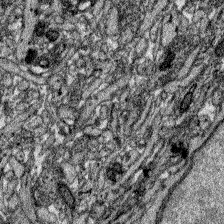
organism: Zebrafish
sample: Larval olfactory bulb